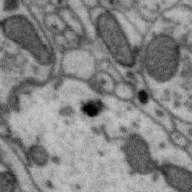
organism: Zebra finch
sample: Brain